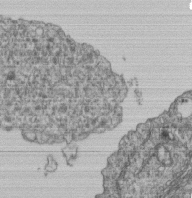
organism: Human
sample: Retinal organoid Rod and Cone cells